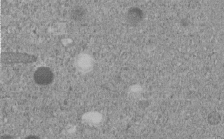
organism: C. elegans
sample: C. elegans embryo early stage